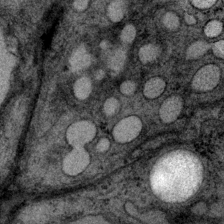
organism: P. pacificus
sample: Pharynx